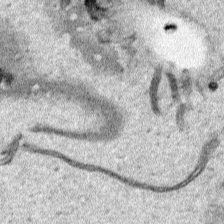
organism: Human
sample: Mitochondria in HCT116 cells